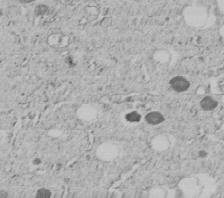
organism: C. elegans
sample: C. elegans embryo early stage